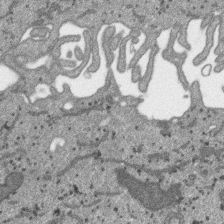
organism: Human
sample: Lung epithelial cells infected with SARS-CoV-2